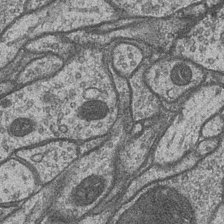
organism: Drosophila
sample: Optic medulla